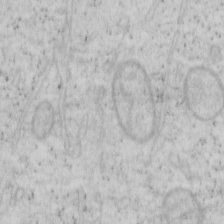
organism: Human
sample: HeLa cells